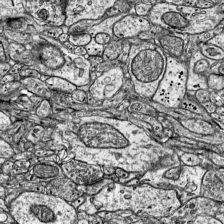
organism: Mouse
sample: Visual Cortex